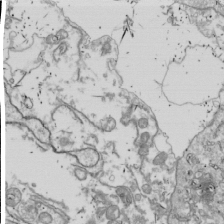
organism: Drosophila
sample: Cell division; meiosis; drosophila spermatocytes